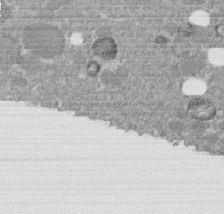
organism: C. elegans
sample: C. elegans embryo early stage